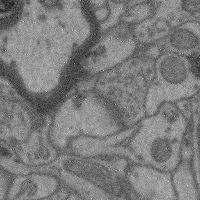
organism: Mouse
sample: Cerebral cortex